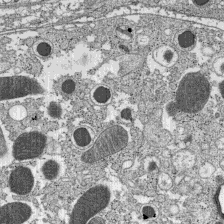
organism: C57BL Mouse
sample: Pancreatic islet